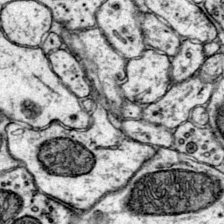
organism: Mouse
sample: Primary visual cortex